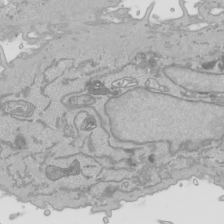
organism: Human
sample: Mitochondria in HCT116 cells